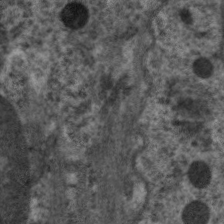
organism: C. elegans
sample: Pharynx